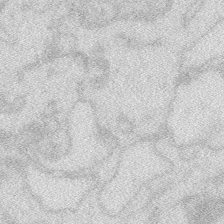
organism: Zebrafish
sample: Macrophage